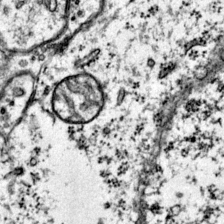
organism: Mouse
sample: Primary visual cortex